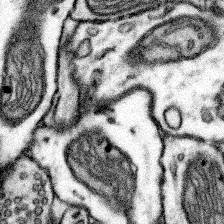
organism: Mouse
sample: Somatosensory cortex neuropil